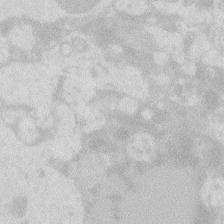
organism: Zebrafish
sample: Macrophage